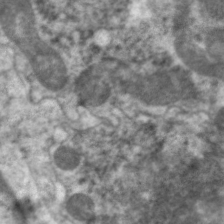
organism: C. elegans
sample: Pharynx